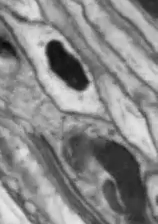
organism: Drosophila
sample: Optic lobe